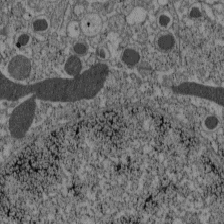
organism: C57BL Mouse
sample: Pancreatic islet